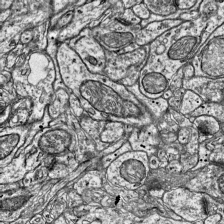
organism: Mouse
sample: Visual Cortex